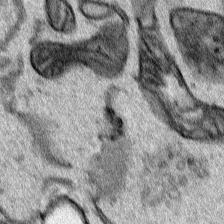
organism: Human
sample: Mitochondria in HCT116 cells